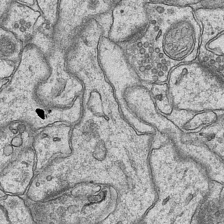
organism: Mouse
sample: CA1 Hippocampus